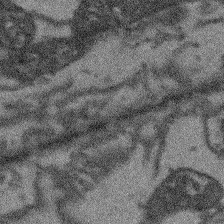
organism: Arabidopsis thaliana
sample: Root tip